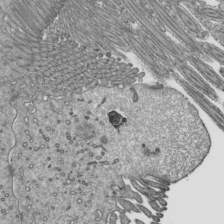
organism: Mouse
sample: Mouse epididymis efferent ductule cilia